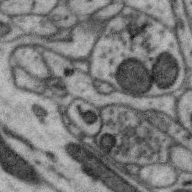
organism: Zebra finch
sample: Brain